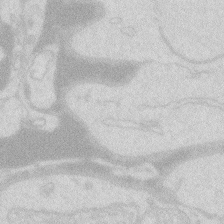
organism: Zebrafish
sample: Macrophage